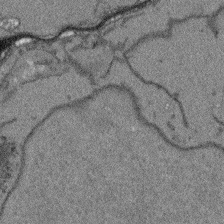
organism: Arabidopsis thaliana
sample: Root tip